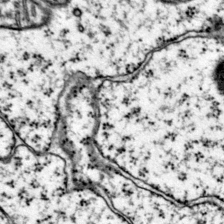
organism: Mouse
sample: Primary visual cortex